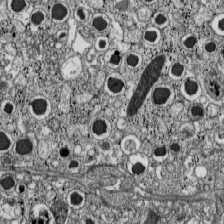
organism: C57BL Mouse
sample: Pancreatic islet